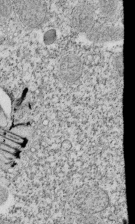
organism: Tetrahymena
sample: Cilia in tetrahymena